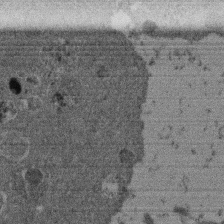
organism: Mouse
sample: Dividing mouse embryo 1 cell stage